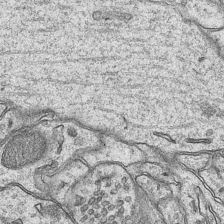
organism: Mouse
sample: CA1 Hippocampus